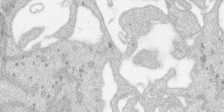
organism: Human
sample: Lung epithelial cells infected with SARS-CoV-2